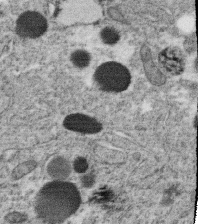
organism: C. elegans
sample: C. elegans oocyte; sperm cells